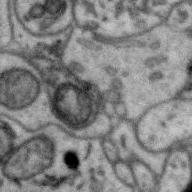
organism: Zebra finch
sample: Brain